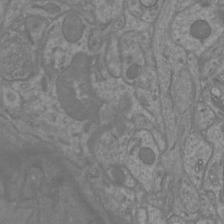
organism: Mouse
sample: Cortical neurons